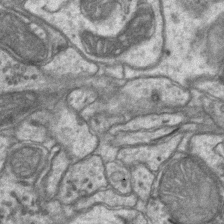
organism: Mouse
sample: CA1 Hippocampus